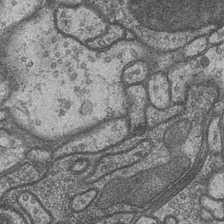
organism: Drosophila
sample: Optic medulla